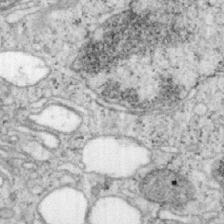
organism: Mouse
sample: OT-I killer T cells with ID8 ovarian cancer cells